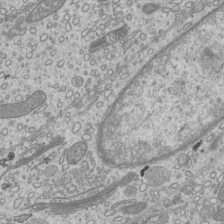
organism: Mouse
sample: Cilia; mouse epididymis